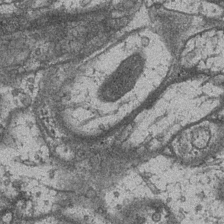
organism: Drosophila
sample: Optic medulla